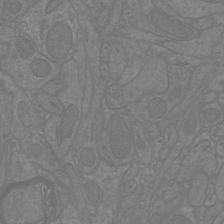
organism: Mouse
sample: Cortical neurons